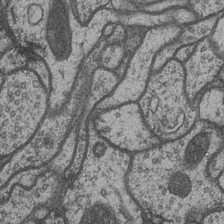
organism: Drosophila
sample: Optic medulla